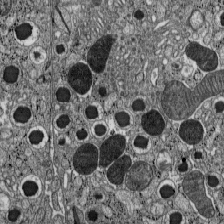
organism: C57BL Mouse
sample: Pancreatic islet